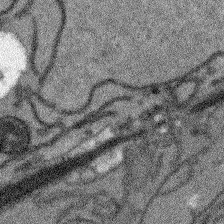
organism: Arabidopsis thaliana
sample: Root tip